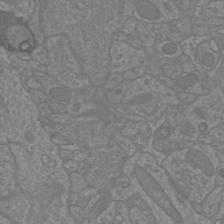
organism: Mouse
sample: Cortical neurons